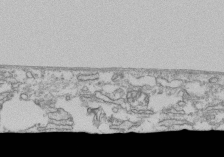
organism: Human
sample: Fibroblast cells